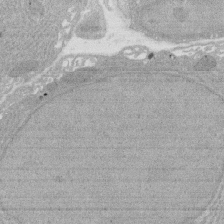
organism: Rat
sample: Salivary granule